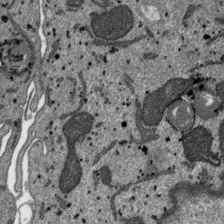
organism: Human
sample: Lung epithelial cells, uninfected (mock) control